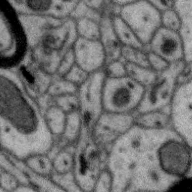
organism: Zebra finch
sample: Brain